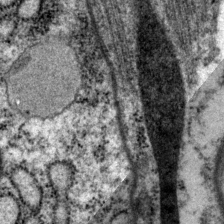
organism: P. pacificus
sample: Pharynx